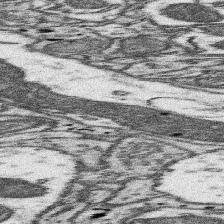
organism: Mouse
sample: Somatosensory cortex neuropil